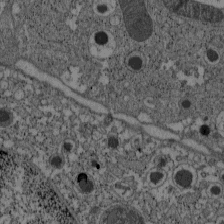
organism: C57BL Mouse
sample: Pancreatic islet